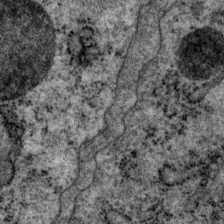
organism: P. pacificus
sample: Pharynx